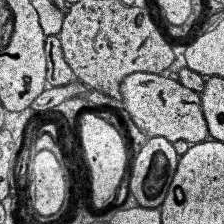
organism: Human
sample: Temporal Lobe